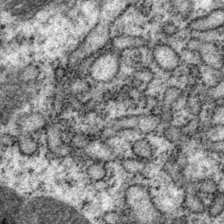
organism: P. pacificus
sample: Pharynx